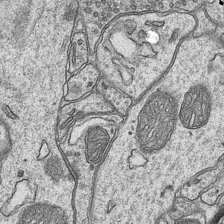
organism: Mouse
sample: CA1 Hippocampus